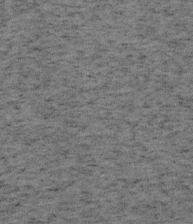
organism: Mouse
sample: OT-I killer T cells with ID8 ovarian cancer cells